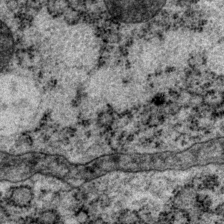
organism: P. pacificus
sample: Pharynx